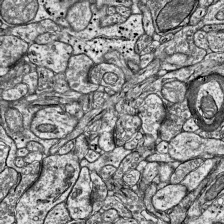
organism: Mouse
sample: Visual Cortex